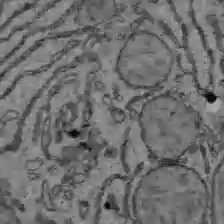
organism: C57BL Mouse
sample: Liver